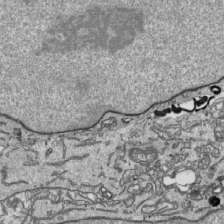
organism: Human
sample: Mitochondria in HCT116 cells